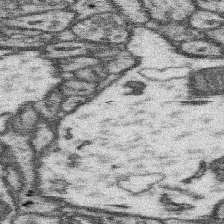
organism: Mouse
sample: Somatosensory cortex neuropil